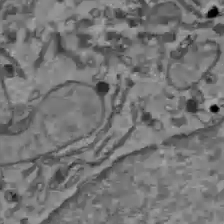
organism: C57BL Mouse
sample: Liver